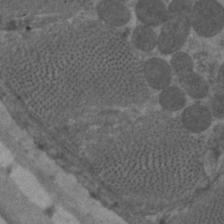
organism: C. elegans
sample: Pharynx